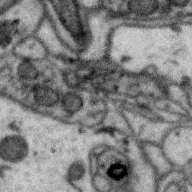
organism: Zebra finch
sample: Brain